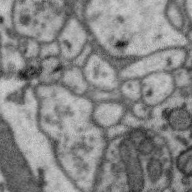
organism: Zebra finch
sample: Brain